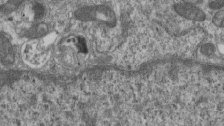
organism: Mouse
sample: Centriole in ependymal cells